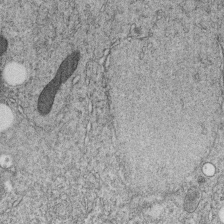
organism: C. elegans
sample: C. elegans embryo early stage